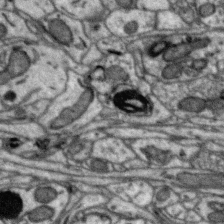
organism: Zebra finch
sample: Brain